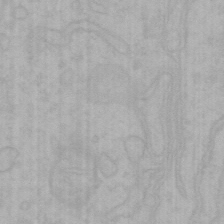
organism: Mouse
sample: Choroid plexus